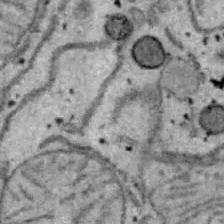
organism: Mouse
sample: Liver from an obese (ob/ob) mouse